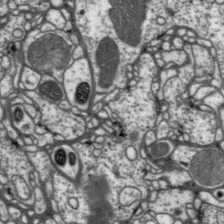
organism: Drosophila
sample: Protocerebral bridge